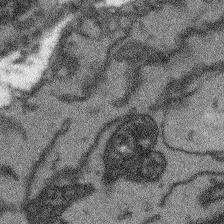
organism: Arabidopsis thaliana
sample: Root tip